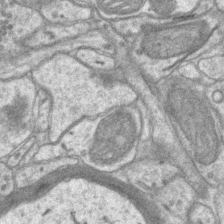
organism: Mouse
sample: CA1 Hippocampus